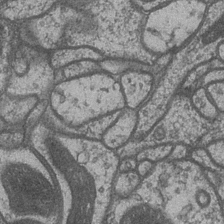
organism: Drosophila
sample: Optic medulla